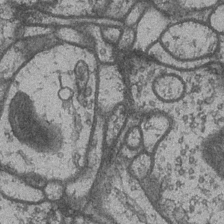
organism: Drosophila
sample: Optic medulla